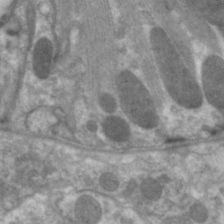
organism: C. elegans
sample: Pharynx